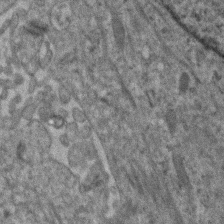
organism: Human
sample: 1205lu cells